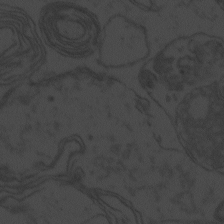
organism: Zebrafish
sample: Macrophage infected with Toxoplasma gondii